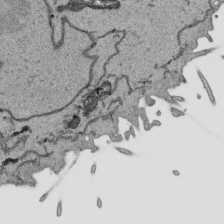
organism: Human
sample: Mitochondria in HCT116 cells